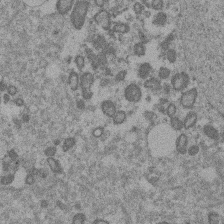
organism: Mouse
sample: Dividing mouse embryo 1 cell stage